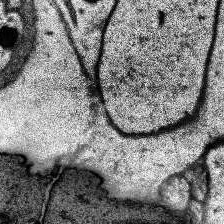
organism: Human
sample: Temporal Lobe